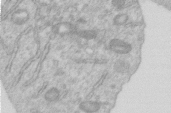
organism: Human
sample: Centriole in RPE cells